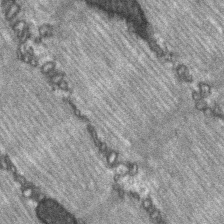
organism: C57BL Mouse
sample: Soleus